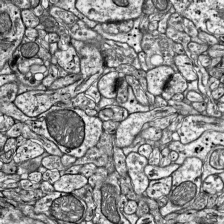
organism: Mouse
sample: Visual Cortex